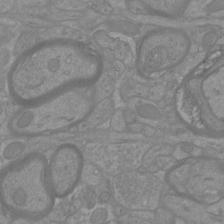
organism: Mouse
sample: Cortical neurons